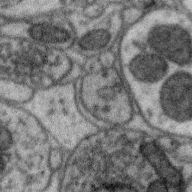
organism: Zebra finch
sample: Brain